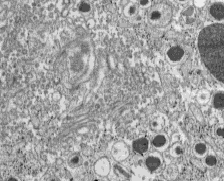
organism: C57BL Mouse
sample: Pancreatic islet